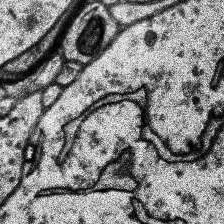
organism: Human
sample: Temporal Lobe